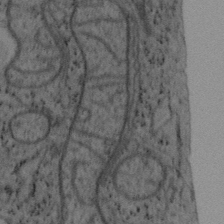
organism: Human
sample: HeLa cells